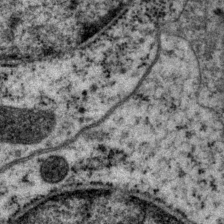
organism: P. pacificus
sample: Pharynx